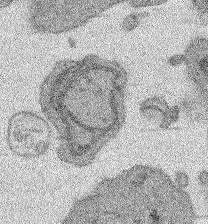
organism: Human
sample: HeLa cells